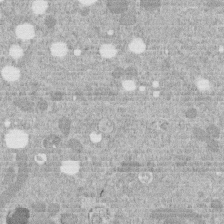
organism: C. elegans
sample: C. elegans embryo early stage